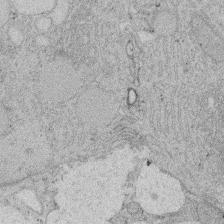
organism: Rat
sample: Salivary granule